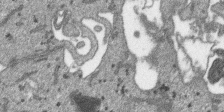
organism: Human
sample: Lung epithelial cells infected with SARS-CoV-2